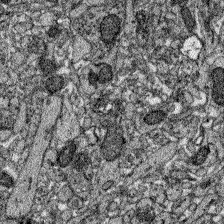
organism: Zebrafish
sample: Larval olfactory bulb